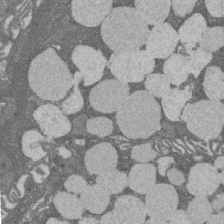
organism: Rat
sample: Salivary granule